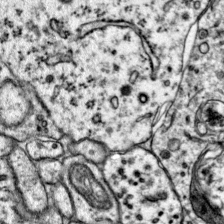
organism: Mouse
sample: Primary visual cortex